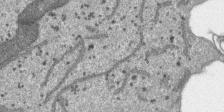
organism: Human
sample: Lung epithelial cells infected with SARS-CoV-2